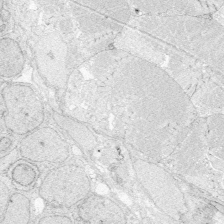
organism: Zebrafish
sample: Whole-Brain